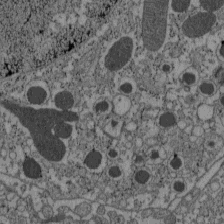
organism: C57BL Mouse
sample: Pancreatic islet